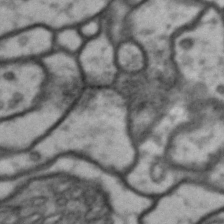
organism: Drosophila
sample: Brain